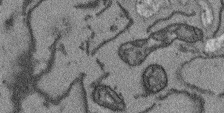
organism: Arabidopsis thaliana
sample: Root tip